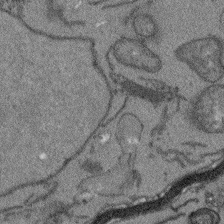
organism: Arabidopsis thaliana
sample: Root tip